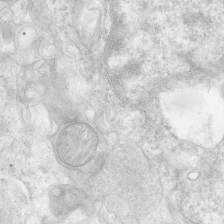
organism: Human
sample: Neocortex